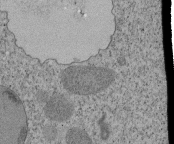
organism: Tetrahymena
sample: Cilia in tetrahymena